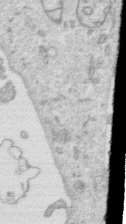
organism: Human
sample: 1205lu cells